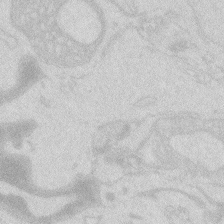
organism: Zebrafish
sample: Macrophage